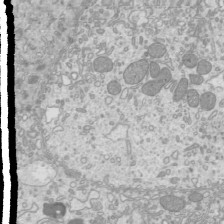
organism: Mouse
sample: Cilia; mouse epididymis